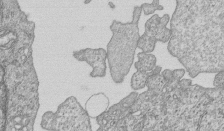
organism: Human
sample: MDA-MB-231 cells